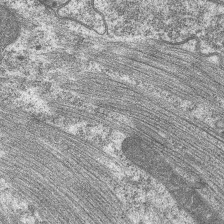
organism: C. elegans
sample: Pharynx